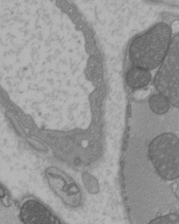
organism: C57BL Mouse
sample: Heart